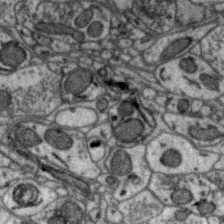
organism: Zebra finch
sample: Brain